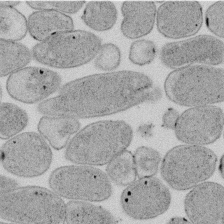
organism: E. coli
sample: Bacterial nucleoid